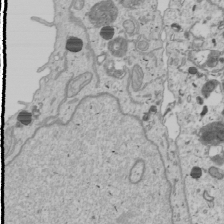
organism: Human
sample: Mitochondria in U2OS cells